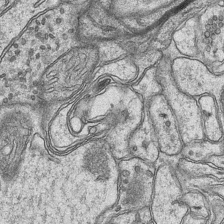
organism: Mouse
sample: CA1 Hippocampus